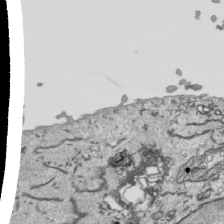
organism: Human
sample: Mitochondria in HCT116 cells